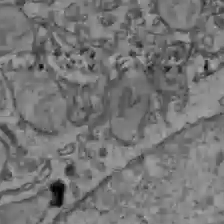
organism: C57BL Mouse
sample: Liver